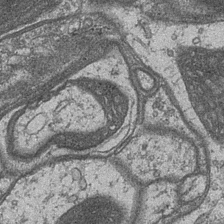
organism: Drosophila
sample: Optic medulla